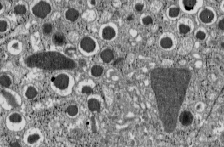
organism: C57BL Mouse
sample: Pancreatic islet